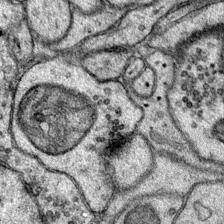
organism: Mouse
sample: Primary visual cortex